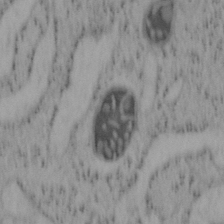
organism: Mouse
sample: OT-I killer T cells with ID8 ovarian cancer cells